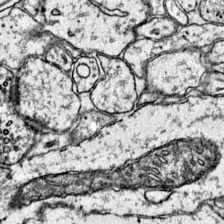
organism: Mouse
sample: Primary visual cortex